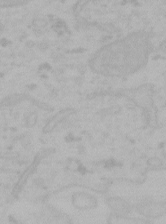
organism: Mouse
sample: Choroid plexus